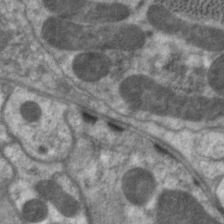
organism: C. elegans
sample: Pharynx